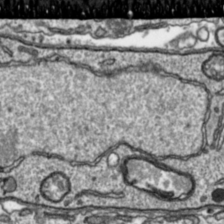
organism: Toxoplasma gondii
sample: Parasites in a vacuole inside a host cell